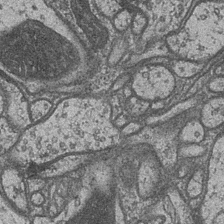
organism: Drosophila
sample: Optic medulla